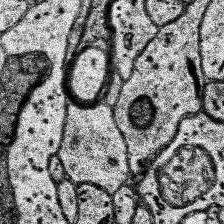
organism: Human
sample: Temporal Lobe